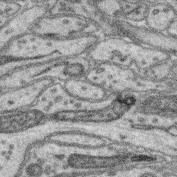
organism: Mouse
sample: Retina